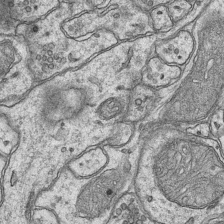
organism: Mouse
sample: CA1 Hippocampus